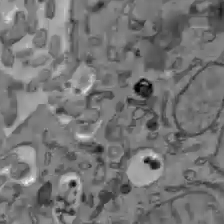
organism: C57BL Mouse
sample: Liver